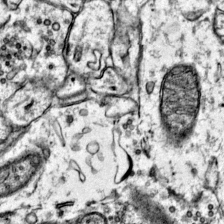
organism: Mouse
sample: Primary visual cortex